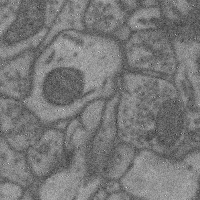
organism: Mouse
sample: Cerebral cortex